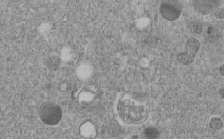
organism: C. elegans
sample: C. elegans embryo early stage